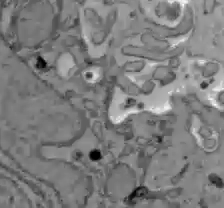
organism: C57BL Mouse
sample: Liver